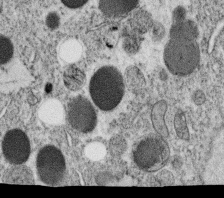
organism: C. elegans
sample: C. elegans oocyte; sperm cells